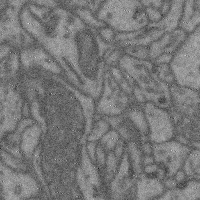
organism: Mouse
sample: Cerebral cortex